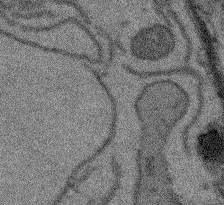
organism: Arabidopsis thaliana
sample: Root tip